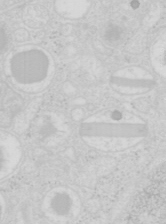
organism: Mouse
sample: Pancreas